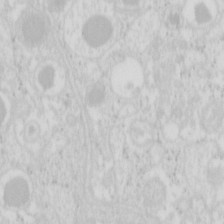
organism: Mouse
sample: Pancreas